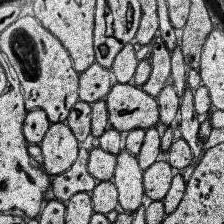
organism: Human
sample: Temporal Lobe